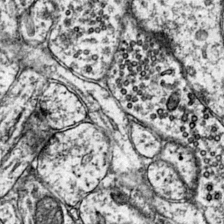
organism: Mouse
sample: Primary visual cortex